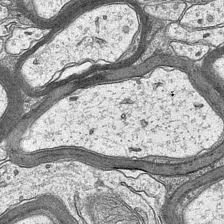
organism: Mouse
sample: CA1 Hippocampus